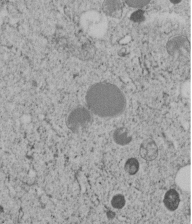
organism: C. elegans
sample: C. elegans embryo early stage